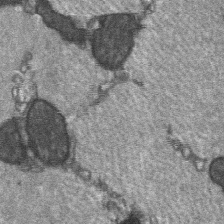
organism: C57BL Mouse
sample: Soleus